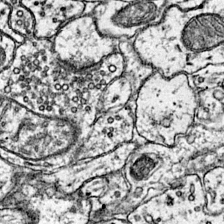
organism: Mouse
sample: Primary visual cortex